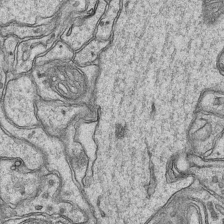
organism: Mouse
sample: CA1 Hippocampus